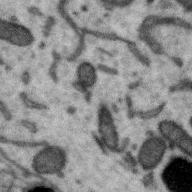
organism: Zebra finch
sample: Brain